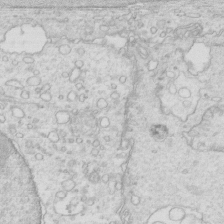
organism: Mouse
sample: Multiciliated cells